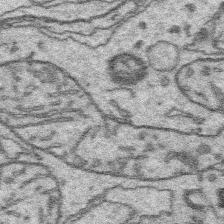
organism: Platynereis dumerilii